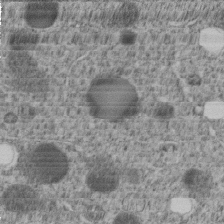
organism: C. elegans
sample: C. elegans embryo early stage